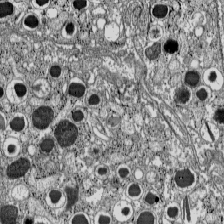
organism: C57BL Mouse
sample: Pancreatic islet